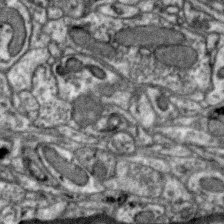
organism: Zebra finch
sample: Brain